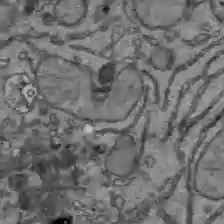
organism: C57BL Mouse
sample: Liver